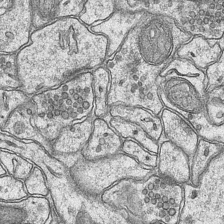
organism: Mouse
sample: CA1 Hippocampus